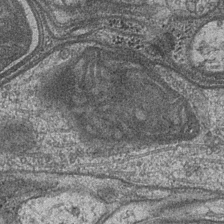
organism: Drosophila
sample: Optic medulla